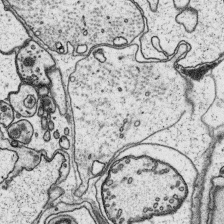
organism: Platynereis dumerilii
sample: Parapodia